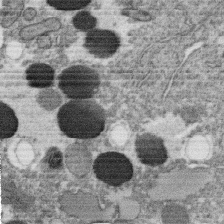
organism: C. elegans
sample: C. elegans oocyte; sperm cells